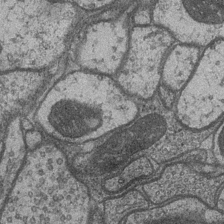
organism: Drosophila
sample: Optic medulla